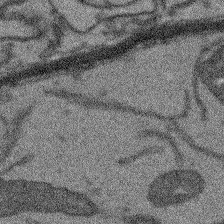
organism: Arabidopsis thaliana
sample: Root tip